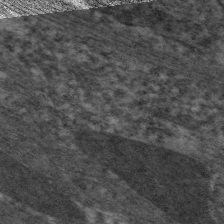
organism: C. elegans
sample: Pharynx